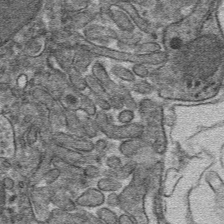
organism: Mouse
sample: Mouse hepatocytes